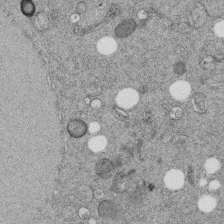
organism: C. elegans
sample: C. elegans embryo early stage